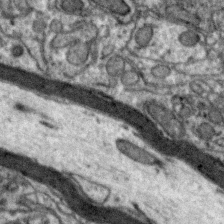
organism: Zebra finch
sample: Brain